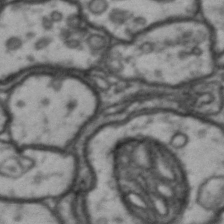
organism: Drosophila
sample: Brain